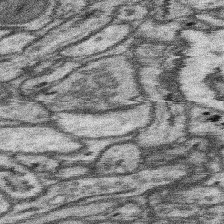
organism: Mouse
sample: Somatosensory cortex neuropil